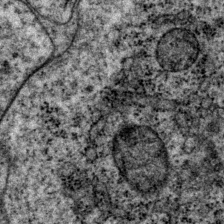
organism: P. pacificus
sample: Pharynx